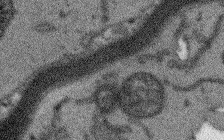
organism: Arabidopsis thaliana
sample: Root tip